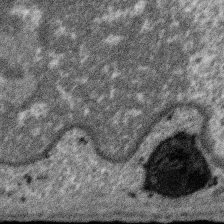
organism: Human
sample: Lung epithelial cells infected with SARS-CoV-2